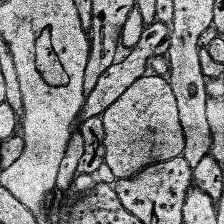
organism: Human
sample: Temporal Lobe